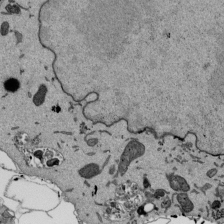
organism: Mouse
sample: ED-1 cell nuclei; centrioles